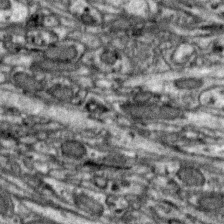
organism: Zebra finch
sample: Brain